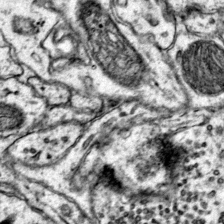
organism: Mouse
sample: Primary visual cortex